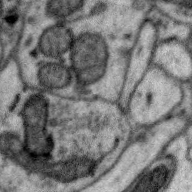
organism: Zebra finch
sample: Brain